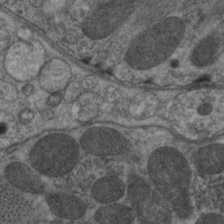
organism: C. elegans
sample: Pharynx